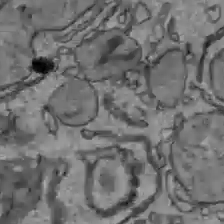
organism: C57BL Mouse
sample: Liver